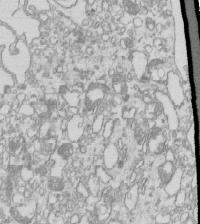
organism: Mouse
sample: Macrophages